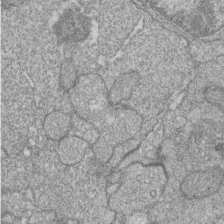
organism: Zebrafish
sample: Cilia; retinal pigment epithelium